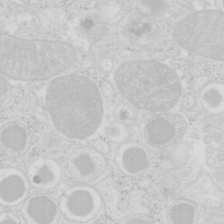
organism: Mouse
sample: Pancreas